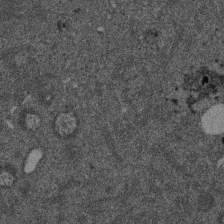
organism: Mouse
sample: Dividing mouse embryo 1 cell stage